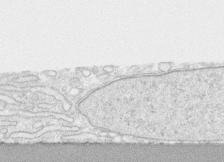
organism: Human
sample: CRL-1474